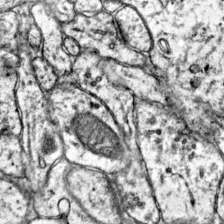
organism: Mouse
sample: Primary visual cortex